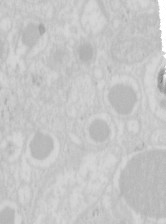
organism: Mouse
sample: Pancreas